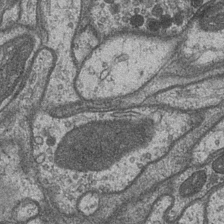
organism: Drosophila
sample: Optic medulla